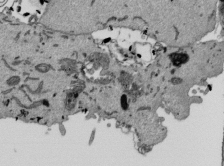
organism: Mouse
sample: ED-1 cell nuclei; centrioles